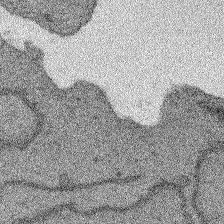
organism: Human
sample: HeLa cells